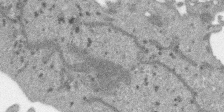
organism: Human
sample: Lung epithelial cells infected with SARS-CoV-2